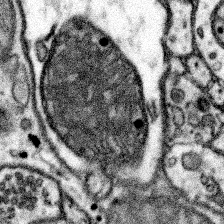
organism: Mouse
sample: Somatosensory cortex neuropil